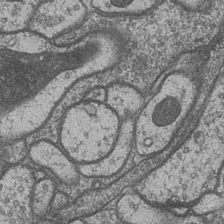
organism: Drosophila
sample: Optic medulla